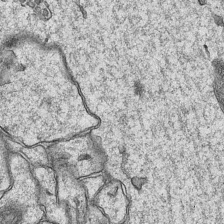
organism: Mouse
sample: CA1 Hippocampus